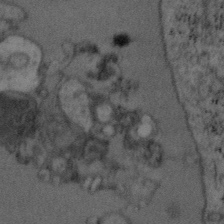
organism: Human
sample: HeLa cells